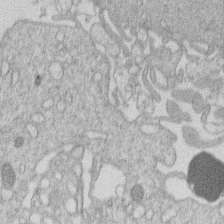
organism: Human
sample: Macrophage cells